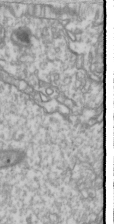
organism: Drosophila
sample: Cell division; meiosis; drosophila spermatocytes